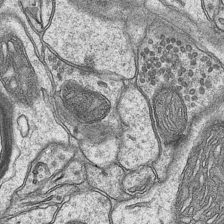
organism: Mouse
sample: CA1 Hippocampus